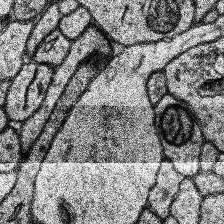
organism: Human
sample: Temporal Lobe